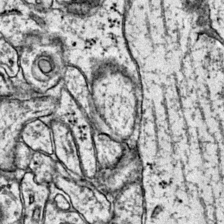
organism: Mouse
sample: Primary visual cortex